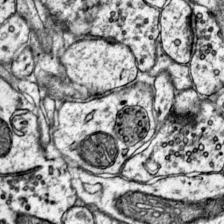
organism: Mouse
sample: Primary visual cortex